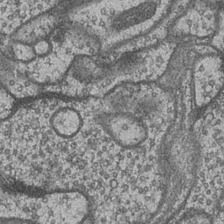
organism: Drosophila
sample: Optic medulla